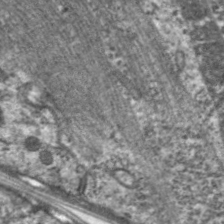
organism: C. elegans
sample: Pharynx